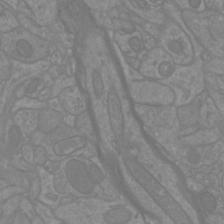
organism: Mouse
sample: Cortical neurons